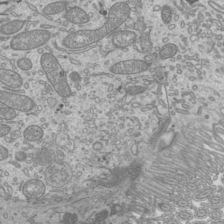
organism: Mouse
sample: Cilia; mouse epididymis